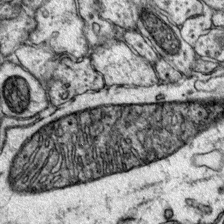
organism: Mouse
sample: Primary visual cortex